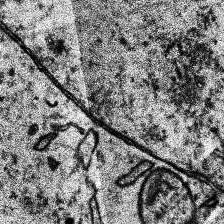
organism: Human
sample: Temporal Lobe